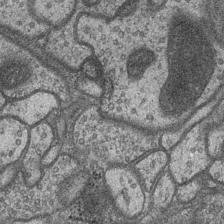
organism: Drosophila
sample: Optic medulla